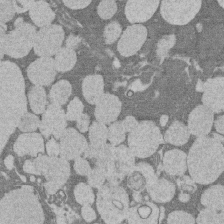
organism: Rat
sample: Salivary granule